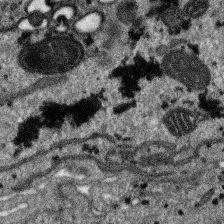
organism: Human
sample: Lung epithelial cells infected with SARS-CoV-2